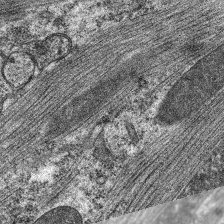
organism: C. elegans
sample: Pharynx